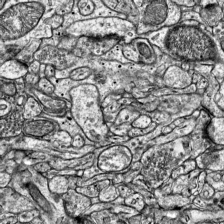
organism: Mouse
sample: Visual Cortex